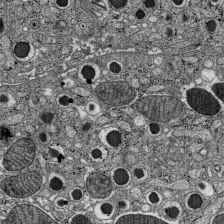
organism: C57BL Mouse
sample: Pancreatic islet